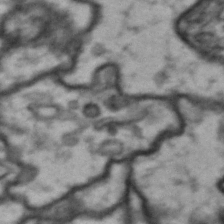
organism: Drosophila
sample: Brain